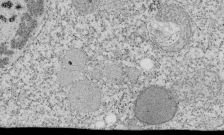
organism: Tetrahymena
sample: Cilia in tetrahymena